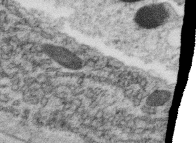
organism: C. elegans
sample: C. elegans oocyte; sperm cells